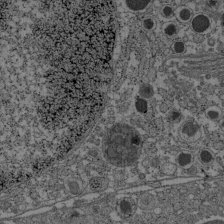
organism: C57BL Mouse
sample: Pancreatic islet